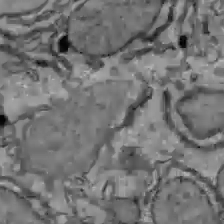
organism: C57BL Mouse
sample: Liver